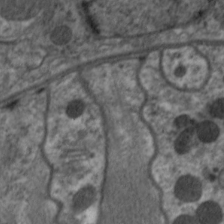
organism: C. elegans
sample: Pharynx